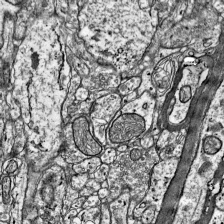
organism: Mouse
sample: Visual Cortex